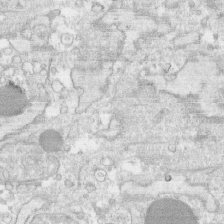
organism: Human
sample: CRL-1474